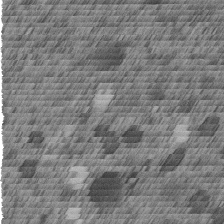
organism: C. elegans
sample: C. elegans embryo early stage